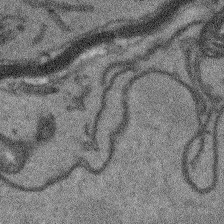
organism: Arabidopsis thaliana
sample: Root tip